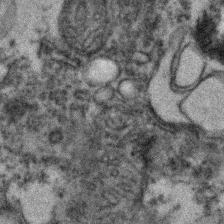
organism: Zebrafish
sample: Zebrafish embryo